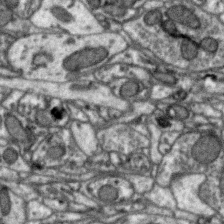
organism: Zebra finch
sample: Brain